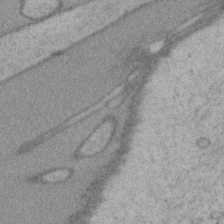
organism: Human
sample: HeLa cells